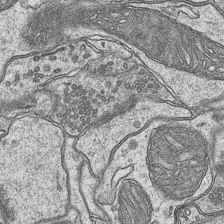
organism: Mouse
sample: CA1 Hippocampus